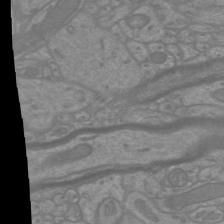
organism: Mouse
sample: Cortical neurons